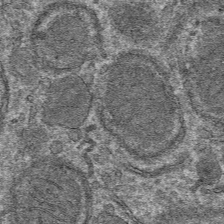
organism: Mouse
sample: Mouse hepatocytes